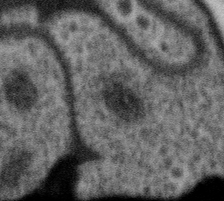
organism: Gemmata obscuriglobus